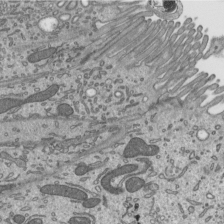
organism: Mouse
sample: Mouse epididymis efferent ductule cilia